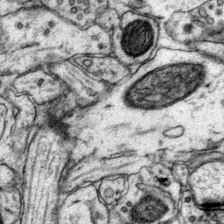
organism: Mouse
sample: Primary visual cortex